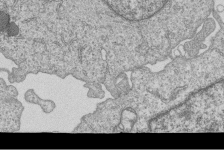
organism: Human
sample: MDA-MB-231 cells